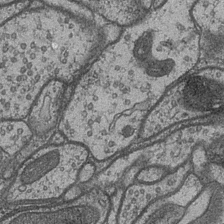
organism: Drosophila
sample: Optic medulla